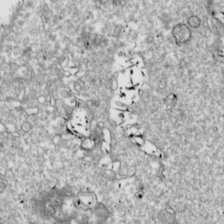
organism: Drosophila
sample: Cell division; meiosis; drosophila spermatocytes